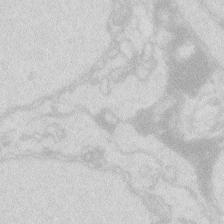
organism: Zebrafish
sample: Macrophage